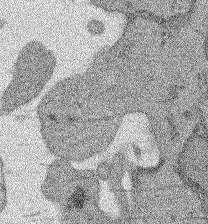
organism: Human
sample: HeLa cells